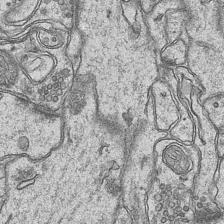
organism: Mouse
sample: CA1 Hippocampus